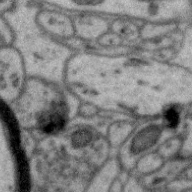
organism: Zebra finch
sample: Brain